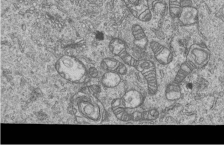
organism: Human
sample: MDA-MB-231 cells